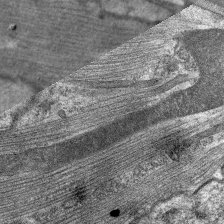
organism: C. elegans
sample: Pharynx